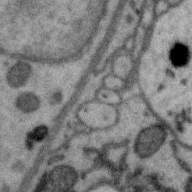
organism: Zebra finch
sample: Brain